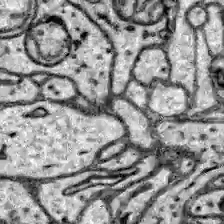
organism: Zebrafish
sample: Brain